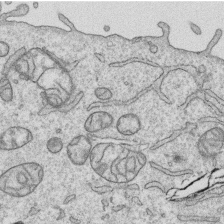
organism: Human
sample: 1205lu cells